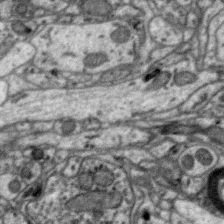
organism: Zebra finch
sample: Brain